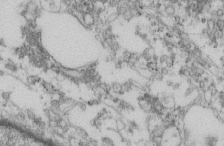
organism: Mouse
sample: Cilia; retinal pigment epithelium